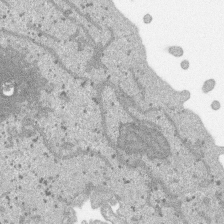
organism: Human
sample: Lung epithelial cells infected with SARS-CoV-2